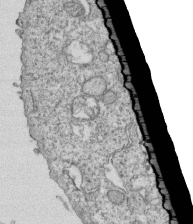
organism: Human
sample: HeLa cell HIV synapse